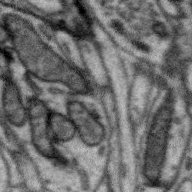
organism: Zebra finch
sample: Brain